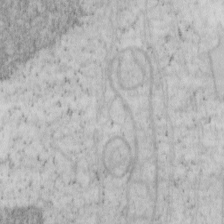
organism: Human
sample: HeLa cells